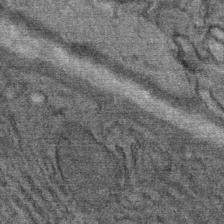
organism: Mouse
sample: Mouse Salivary gland